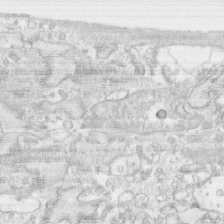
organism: Human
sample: CRL-1474